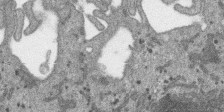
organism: Human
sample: Lung epithelial cells infected with SARS-CoV-2